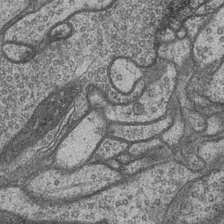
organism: Drosophila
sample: Optic medulla